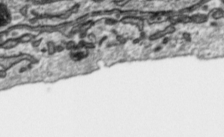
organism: Toxoplasma gondii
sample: Parasites in a vacuole inside a host cell